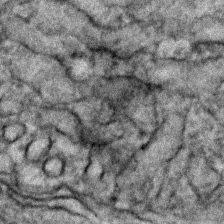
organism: Zebrafish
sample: Zebrafish embryo